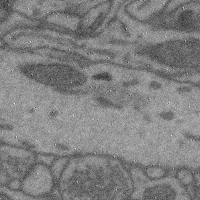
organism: Mouse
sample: Cerebral cortex